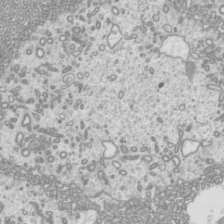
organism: Mouse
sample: Cilia; mouse epididymis